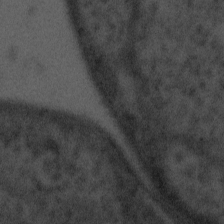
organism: Tuwongella immobilis